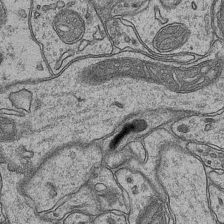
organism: Mouse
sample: CA1 Hippocampus